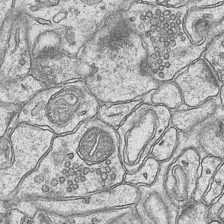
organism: Mouse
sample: CA1 Hippocampus